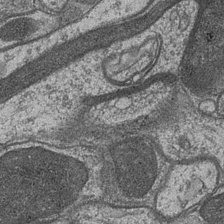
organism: Drosophila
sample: Optic medulla